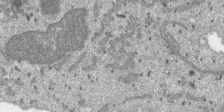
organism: Human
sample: Lung epithelial cells infected with SARS-CoV-2